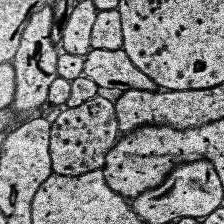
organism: Human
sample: Temporal Lobe